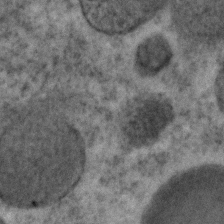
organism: C. elegans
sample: C. elegans embryo